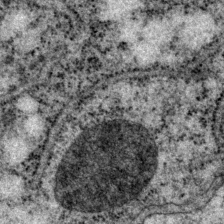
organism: P. pacificus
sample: Pharynx